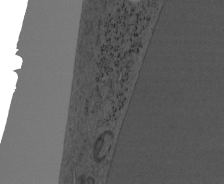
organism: Mouse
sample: OT-I killer T cells with ID8 ovarian cancer cells